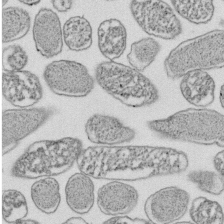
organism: E. coli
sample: Bacterial nucleoid